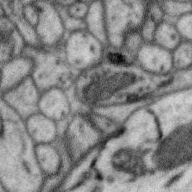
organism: Zebra finch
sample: Brain